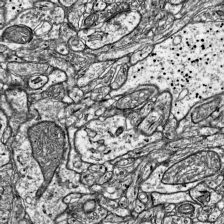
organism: Mouse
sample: Visual Cortex